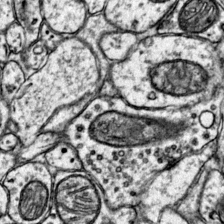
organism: Mouse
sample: Primary visual cortex